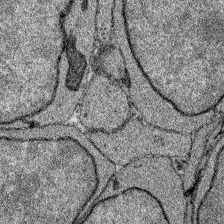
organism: Zebrafish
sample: Larval olfactory bulb